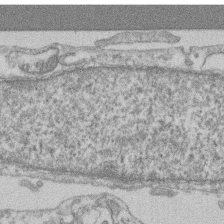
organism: Mouse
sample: T cell stromal cell synapse